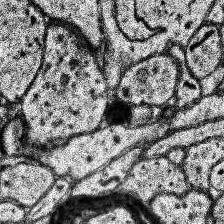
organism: Human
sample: Temporal Lobe